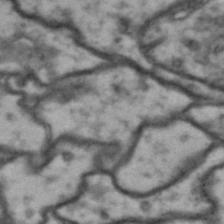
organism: Drosophila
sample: Brain